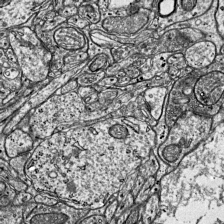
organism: Mouse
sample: Visual Cortex